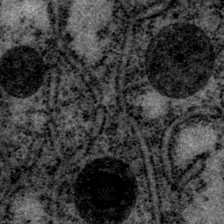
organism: P. pacificus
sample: Pharynx